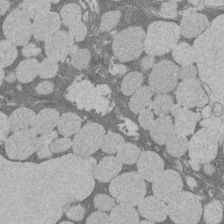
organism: Rat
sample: Salivary granule